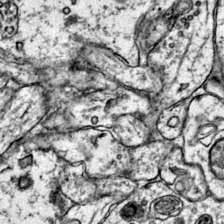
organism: Mouse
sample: Primary visual cortex